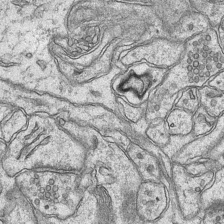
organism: Mouse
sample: CA1 Hippocampus